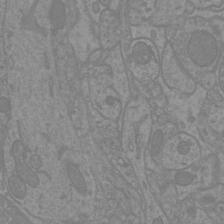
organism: Mouse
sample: Cortical neurons